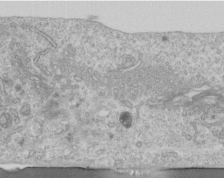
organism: Human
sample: Centriole in RPE cells